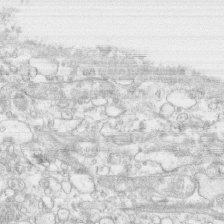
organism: Human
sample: CRL-1474